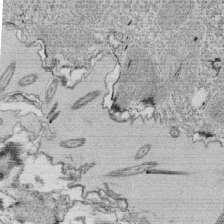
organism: Tetrahymena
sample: Cilia in tetrahymena